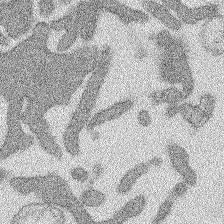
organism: Human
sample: HeLa cells